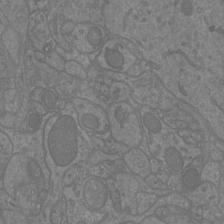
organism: Mouse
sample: Cortical neurons